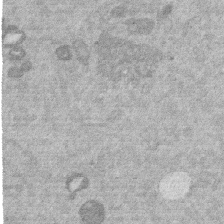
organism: Mouse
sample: Dividing mouse embryo 1 cell stage